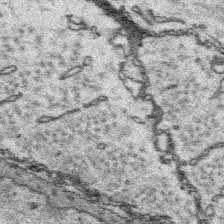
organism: Platynereis dumerilii